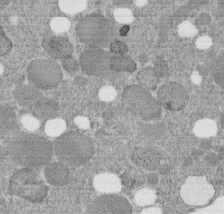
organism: C. elegans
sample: C. elegans embryo early stage